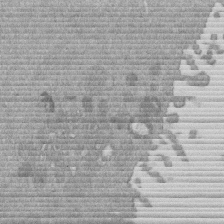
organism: Mouse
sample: Dividing mouse embryo 1 cell stage